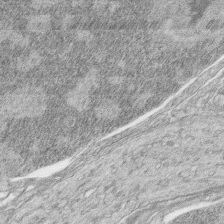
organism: Zebrafish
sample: synaptic ribbons in rod cells and cone cells